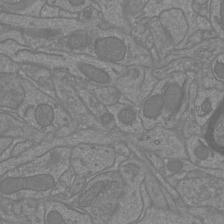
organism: Mouse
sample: Cortical neurons